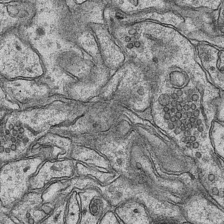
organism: Mouse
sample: CA1 Hippocampus